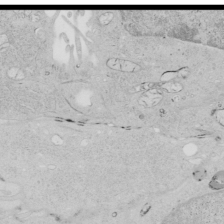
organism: Human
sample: Mitochondria in HCT116 cells